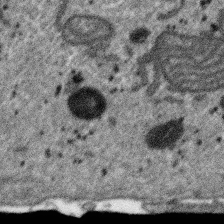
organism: Human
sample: Lung epithelial cells infected with SARS-CoV-2